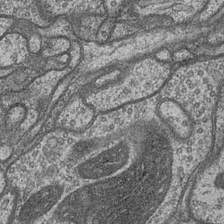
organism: Drosophila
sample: Optic medulla